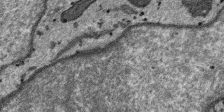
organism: Human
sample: Lung epithelial cells, uninfected (mock) control